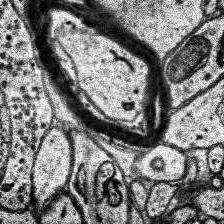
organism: Human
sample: Temporal Lobe